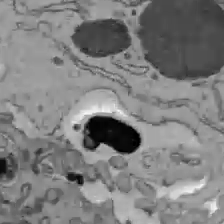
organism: C57BL Mouse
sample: Liver